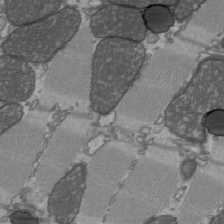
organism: C57BL Mouse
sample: Heart